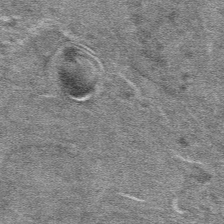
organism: Mouse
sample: Mouse hepatocytes